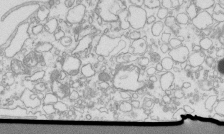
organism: Mouse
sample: Macrophages